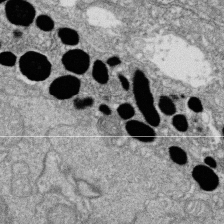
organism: Zebrafish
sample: Cilia; retinal pigment epithelium